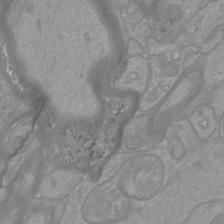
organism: Mouse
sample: Cortical neurons